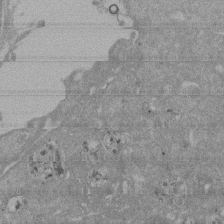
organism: Mouse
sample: ED-1 cell nuclei; centrioles